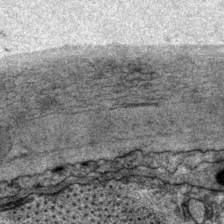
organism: P. pacificus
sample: Pharynx